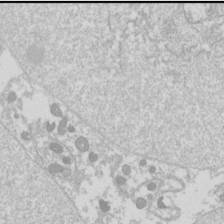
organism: Drosophila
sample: Cell division; meiosis; drosophila spermatocytes